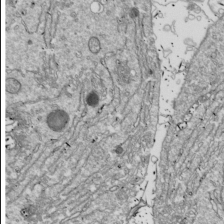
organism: Drosophila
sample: Cell division; meiosis; drosophila spermatocytes